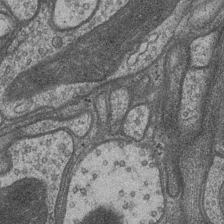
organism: Drosophila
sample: Optic medulla